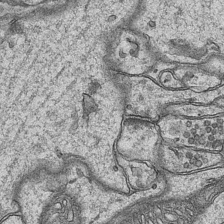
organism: Mouse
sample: CA1 Hippocampus